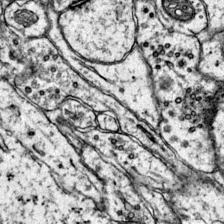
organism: Mouse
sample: Primary visual cortex